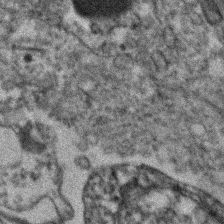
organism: Human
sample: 1205lu cells